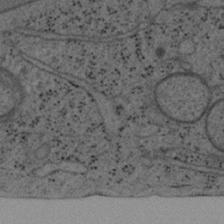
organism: Human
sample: HeLa cells